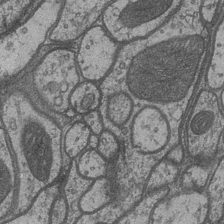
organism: Drosophila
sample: Optic medulla